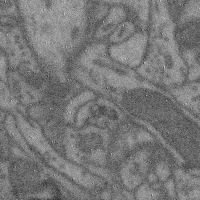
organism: Mouse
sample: Cerebral cortex